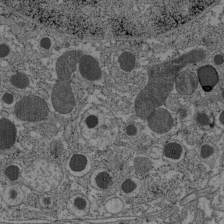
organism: C57BL Mouse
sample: Pancreatic islet